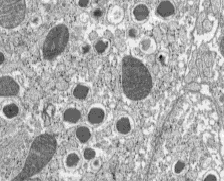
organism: C57BL Mouse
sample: Pancreatic islet